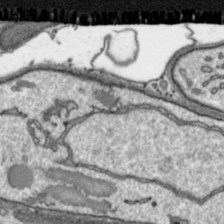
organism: Toxoplasma gondii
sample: Parasites in a vacuole inside a host cell